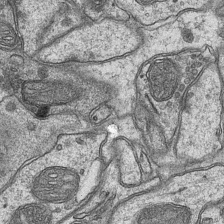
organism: Mouse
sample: CA1 Hippocampus